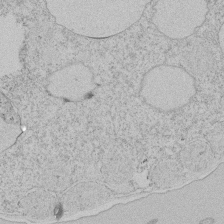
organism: Tetrahymena